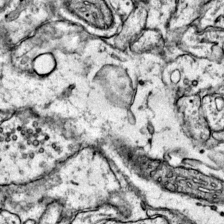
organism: Mouse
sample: Primary visual cortex